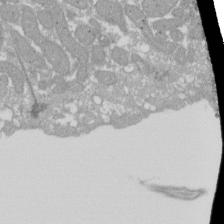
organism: Xenopus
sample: Cilia; centrioles in frog embryo cells